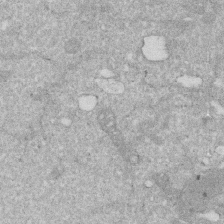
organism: Human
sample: HIV infected U937 cells